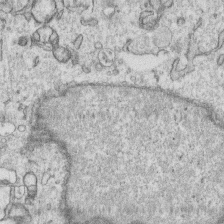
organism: Human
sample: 1205lu cells